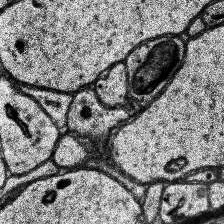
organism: Human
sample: Temporal Lobe